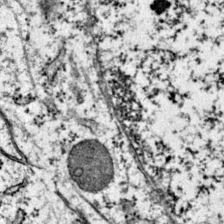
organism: Mouse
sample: Primary visual cortex